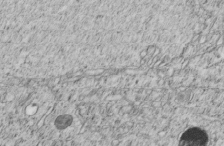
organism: C. elegans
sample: C. elegans embryo early stage